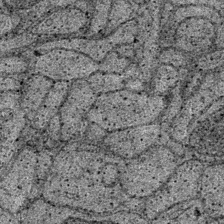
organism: Drosophila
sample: Optic medulla